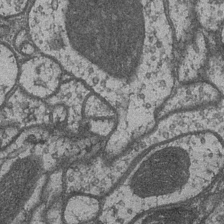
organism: Drosophila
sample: Optic medulla